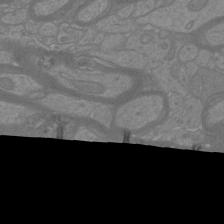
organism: Mouse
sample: Cortical neurons